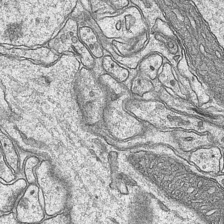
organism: Mouse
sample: CA1 Hippocampus